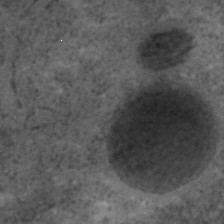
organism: C. elegans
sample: C. elegans embryo